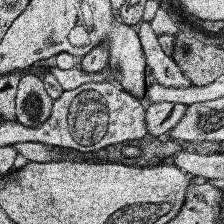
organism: Human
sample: Temporal Lobe